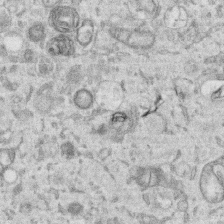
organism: Human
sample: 1205lu cells